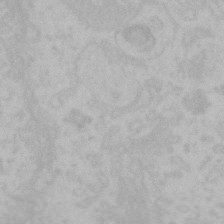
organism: Mouse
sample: Choroid plexus